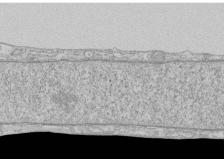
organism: Human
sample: CRL-1474